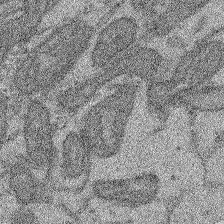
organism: Human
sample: HeLa cells